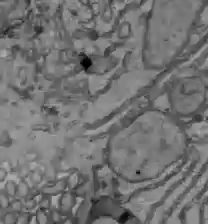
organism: C57BL Mouse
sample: Liver